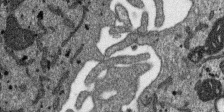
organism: Human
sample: Lung epithelial cells infected with SARS-CoV-2